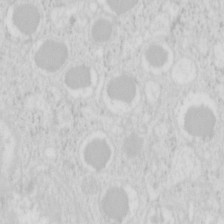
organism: Mouse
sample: Pancreas